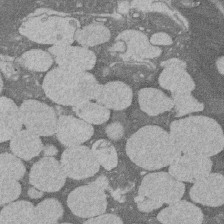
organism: Rat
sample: Salivary granule